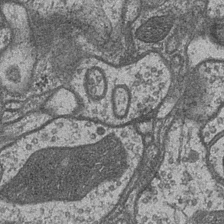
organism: Drosophila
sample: Optic medulla